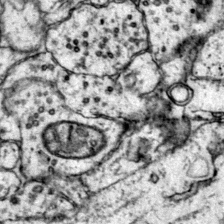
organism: Mouse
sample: Primary visual cortex